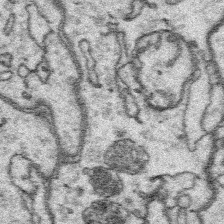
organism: Platynereis dumerilii